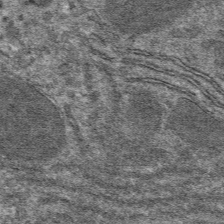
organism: Mouse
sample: Mouse hepatocytes